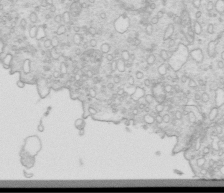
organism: Mouse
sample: Multiciliated cells